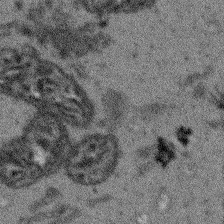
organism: Arabidopsis thaliana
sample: Root tip